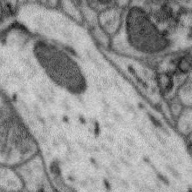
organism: Zebra finch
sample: Brain